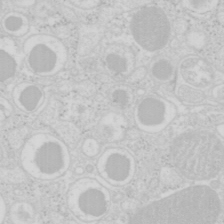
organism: Mouse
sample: Pancreas